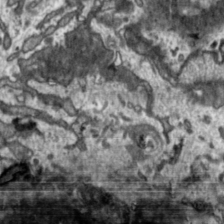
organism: Toxoplasma gondii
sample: Parasites in a vacuole inside a host cell